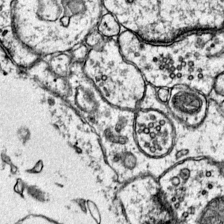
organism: Mouse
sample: Primary visual cortex